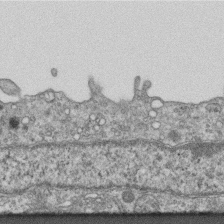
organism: Mouse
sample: Centriole in ependymal cells